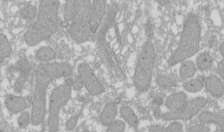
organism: Xenopus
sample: Cilia; centrioles in frog embryo cells